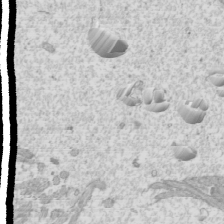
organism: Mouse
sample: Cilia; mouse epididymis